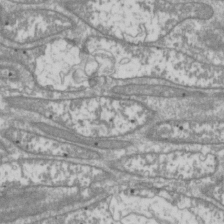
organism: Drosophila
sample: Cell division; meiosis; drosophila spermatocytes